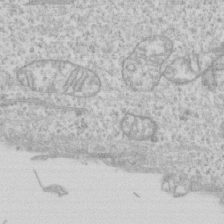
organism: Human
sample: CRL-1474